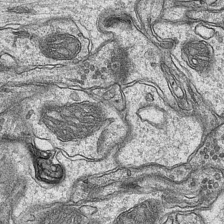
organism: Mouse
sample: CA1 Hippocampus